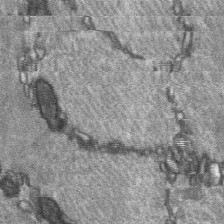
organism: C57BL Mouse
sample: Soleus